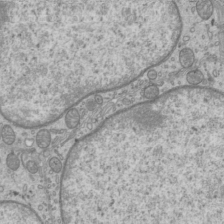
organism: Mouse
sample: Cilia; mouse epididymis